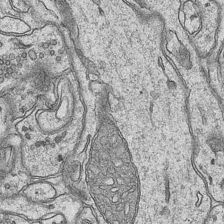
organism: Mouse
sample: CA1 Hippocampus